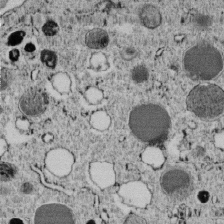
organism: C. elegans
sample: C. elegans embryo early stage